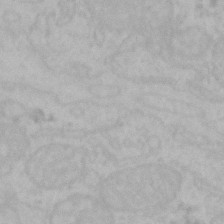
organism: Mouse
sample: Choroid plexus